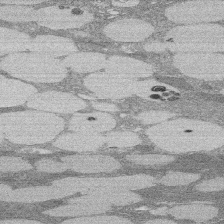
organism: Rat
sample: Salivary granule